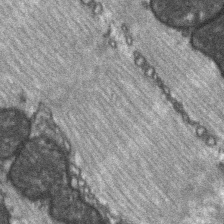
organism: C57BL Mouse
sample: Soleus